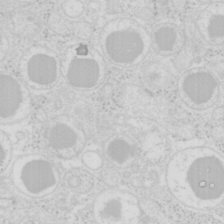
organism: Mouse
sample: Pancreas